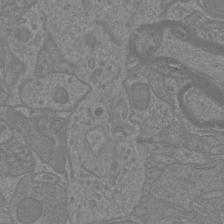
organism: Mouse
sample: Cortical neurons